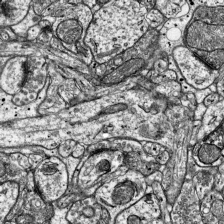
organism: Mouse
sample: Visual Cortex